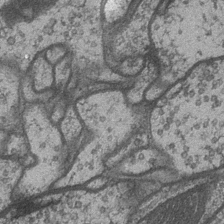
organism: Drosophila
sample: Optic medulla